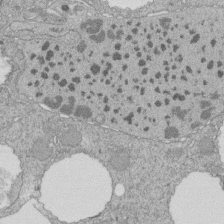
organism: Tetrahymena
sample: Cilia in tetrahymena